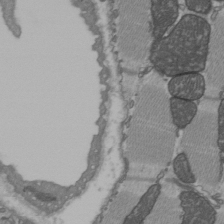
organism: C57BL Mouse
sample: Heart